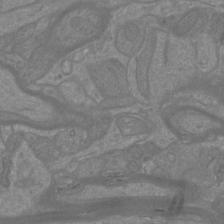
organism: Mouse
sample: Cortical neurons